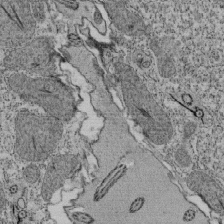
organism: Tetrahymena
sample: Cilia in tetrahymena